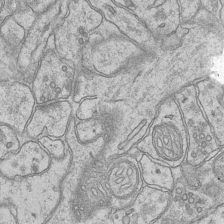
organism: Mouse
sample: CA1 Hippocampus